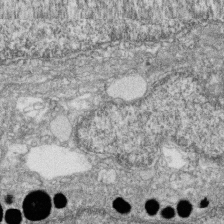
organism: Zebrafish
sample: Cilia; retinal pigment epithelium